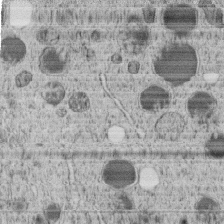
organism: C. elegans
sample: C. elegans embryo early stage